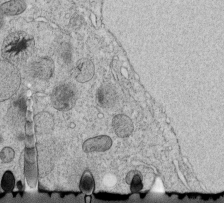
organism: C. elegans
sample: C. elegans embryo early stage